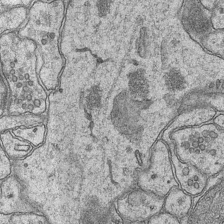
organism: Mouse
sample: CA1 Hippocampus